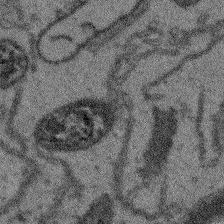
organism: Arabidopsis thaliana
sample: Root tip